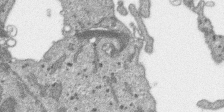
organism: Human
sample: Lung epithelial cells infected with SARS-CoV-2